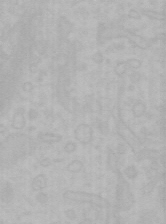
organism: Mouse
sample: Choroid plexus